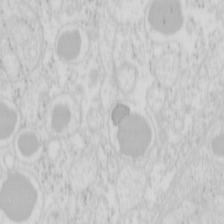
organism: Mouse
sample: Pancreas